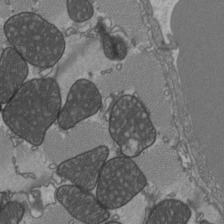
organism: C57BL Mouse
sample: Heart